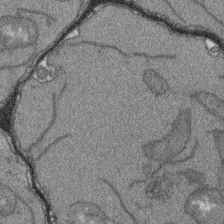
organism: Arabidopsis thaliana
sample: Root tip